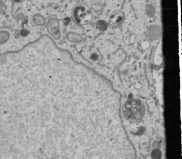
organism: Human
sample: Mitochondria in U2OS cells